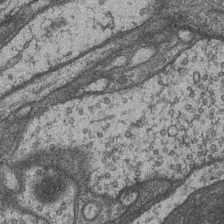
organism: Drosophila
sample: Optic medulla